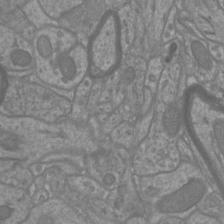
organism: Mouse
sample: Cortical neurons